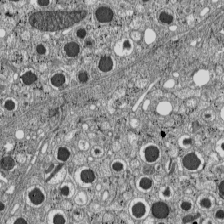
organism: C57BL Mouse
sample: Pancreatic islet